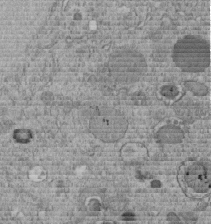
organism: C. elegans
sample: C. elegans embryo early stage